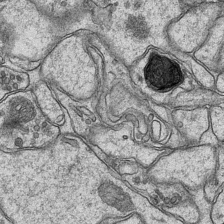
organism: Mouse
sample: CA1 Hippocampus